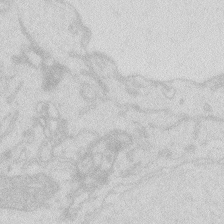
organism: Zebrafish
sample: Macrophage